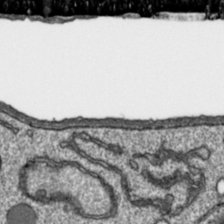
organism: Toxoplasma gondii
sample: Parasites in a vacuole inside a host cell